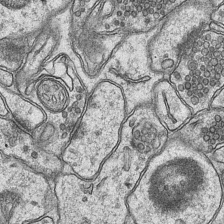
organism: Mouse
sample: CA1 Hippocampus